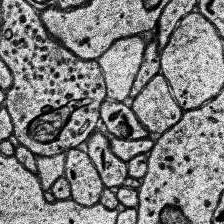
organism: Human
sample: Temporal Lobe